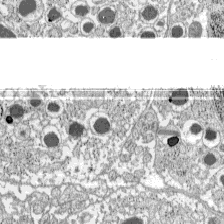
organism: C57BL Mouse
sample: Pancreatic islet